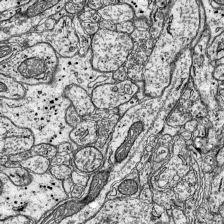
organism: Mouse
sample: Visual Cortex